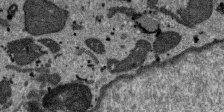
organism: Human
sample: Lung epithelial cells, uninfected (mock) control